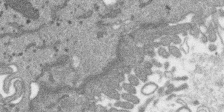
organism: Human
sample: Lung epithelial cells infected with SARS-CoV-2